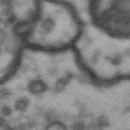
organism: Drosophila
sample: Brain